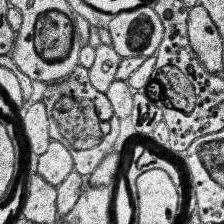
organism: Human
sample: Temporal Lobe